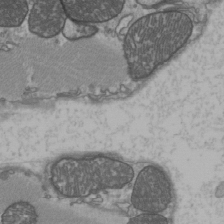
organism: C57BL Mouse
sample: Heart